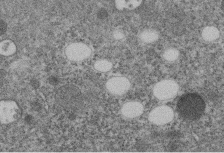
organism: C. elegans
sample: C. elegans embryo early stage